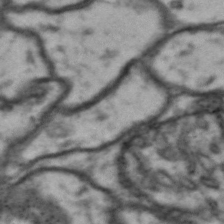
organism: Drosophila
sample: Brain